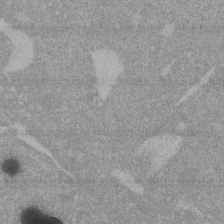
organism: Mouse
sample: ED-1 cell nuclei; centrioles